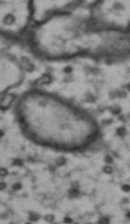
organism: Drosophila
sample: Brain